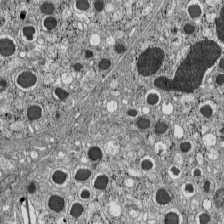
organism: C57BL Mouse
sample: Pancreatic islet